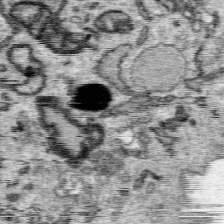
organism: Human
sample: HeLa cells